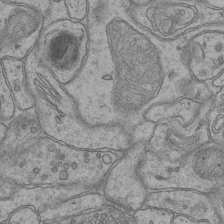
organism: Mouse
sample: CA1 Hippocampus